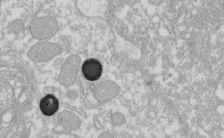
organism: Xenopus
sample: Cilia; centrioles in frog embryo cells